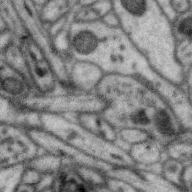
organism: Zebra finch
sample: Brain